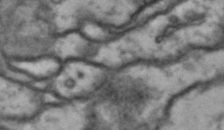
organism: Drosophila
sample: Brain